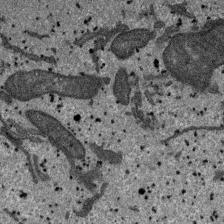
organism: Human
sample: Lung epithelial cells, uninfected (mock) control